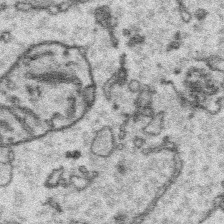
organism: Platynereis dumerilii